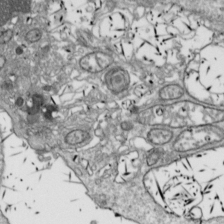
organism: Drosophila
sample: Cell division; meiosis; drosophila spermatocytes